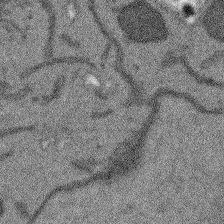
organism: Arabidopsis thaliana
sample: Root tip